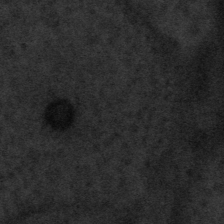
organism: Tuwongella immobilis